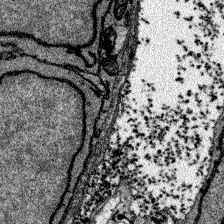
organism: Zebrafish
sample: Larval olfactory bulb